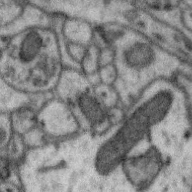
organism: Zebra finch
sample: Brain